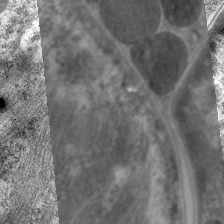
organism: C. elegans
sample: Pharynx